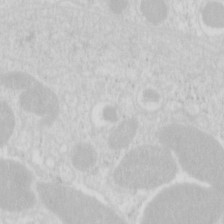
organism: Mouse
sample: Pancreas